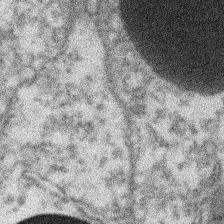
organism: Xenopus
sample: Cilia; centrioles in frog embryo cells